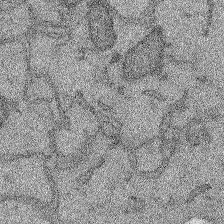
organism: Human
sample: HeLa cells